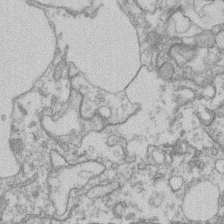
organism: Mouse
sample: T cell stromal cell synapse